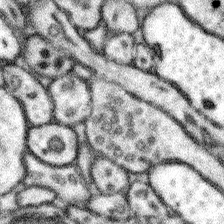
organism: Mouse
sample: Somatosensory cortex neuropil